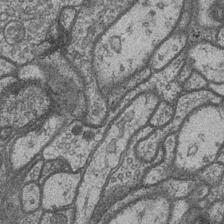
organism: Drosophila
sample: Optic medulla